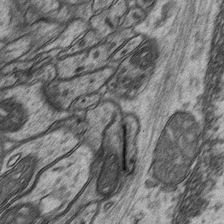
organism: Mouse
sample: CA1 Hippocampus